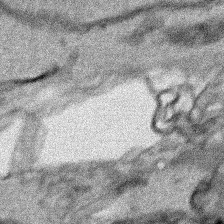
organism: Human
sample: Mitochondria in HCT116 cells